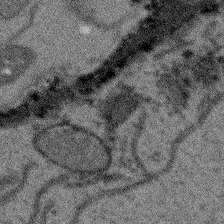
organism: Arabidopsis thaliana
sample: Root tip